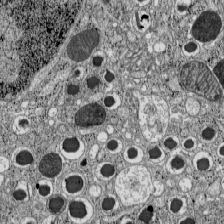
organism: C57BL Mouse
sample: Pancreatic islet